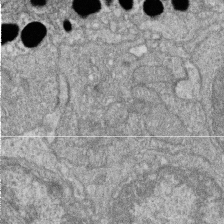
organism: Zebrafish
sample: Cilia; retinal pigment epithelium